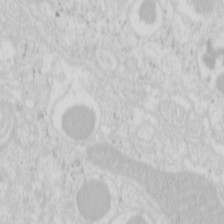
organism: Mouse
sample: Pancreas